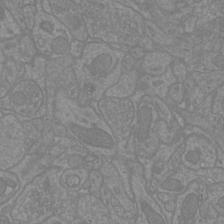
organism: Mouse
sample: Cortical neurons